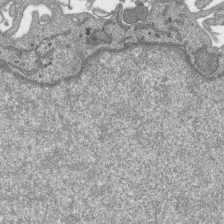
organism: Human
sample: Lung epithelial cells infected with SARS-CoV-2